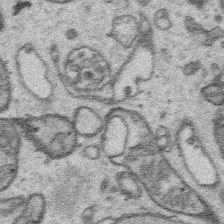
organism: Platynereis dumerilii